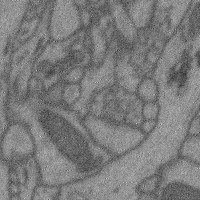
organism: Mouse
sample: Cerebral cortex